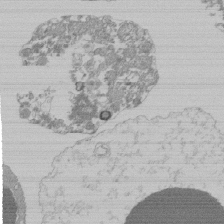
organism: Mouse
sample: Activated Pmel transgenic CD8+ T Cells